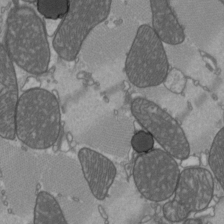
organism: C57BL Mouse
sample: Heart